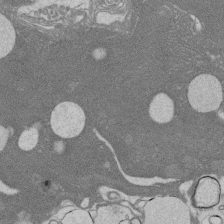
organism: Rat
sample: Salivary granule